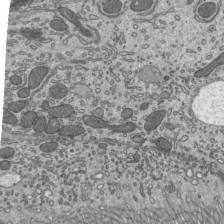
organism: Mouse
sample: Mouse epididymis efferent ductule cilia